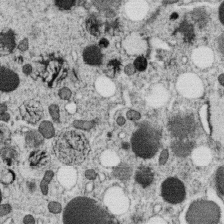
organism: C. elegans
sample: C. elegans oocyte; sperm cells